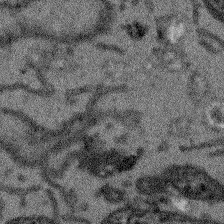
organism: Arabidopsis thaliana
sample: Root tip